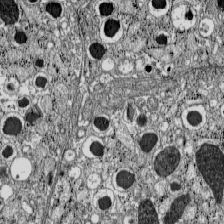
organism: C57BL Mouse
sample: Pancreatic islet